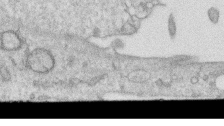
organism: Human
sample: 1205lu cells